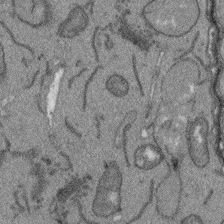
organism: Arabidopsis thaliana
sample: Root tip